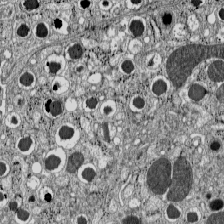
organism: C57BL Mouse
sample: Pancreatic islet